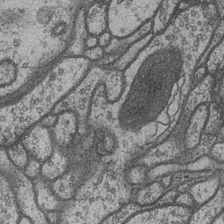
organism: Drosophila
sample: Optic medulla